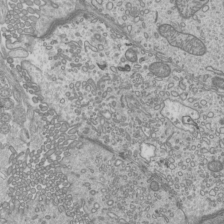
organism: Mouse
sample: Cilia; mouse epididymis